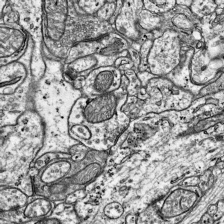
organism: Mouse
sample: Visual Cortex